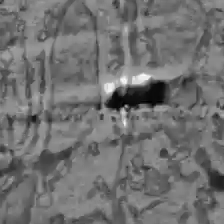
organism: C57BL Mouse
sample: Liver